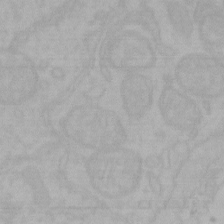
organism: Mouse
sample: Choroid plexus